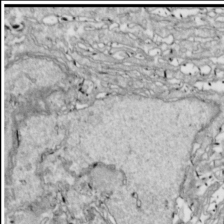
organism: Drosophila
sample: Cell division; meiosis; drosophila spermatocytes